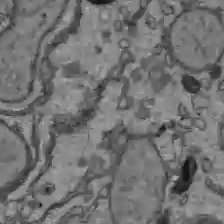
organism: C57BL Mouse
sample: Liver